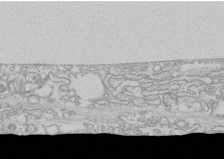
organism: Human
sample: CRL-1474